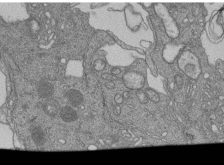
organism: Human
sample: Retinal organoid Rod and Cone cells